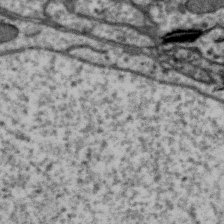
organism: Zebra finch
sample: Brain